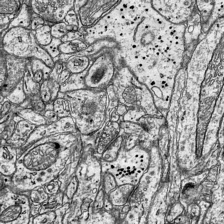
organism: Mouse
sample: Visual Cortex